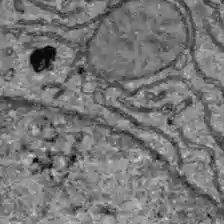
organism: C57BL Mouse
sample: Liver